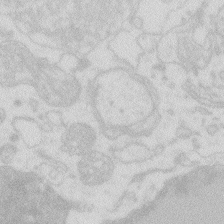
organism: Zebrafish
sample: Macrophage